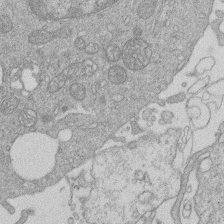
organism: Human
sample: Macrophage cells